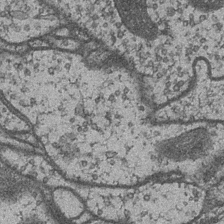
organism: Drosophila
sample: Optic medulla